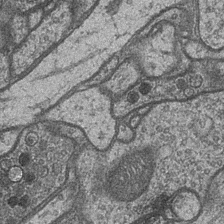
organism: Drosophila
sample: Optic medulla